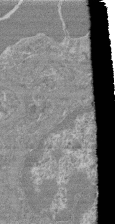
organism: Mouse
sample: Glomerulus